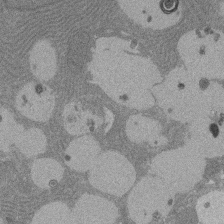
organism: Rat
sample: Salivary granule